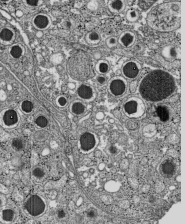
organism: C57BL Mouse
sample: Pancreatic islet